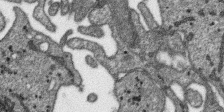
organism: Human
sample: Lung epithelial cells infected with SARS-CoV-2